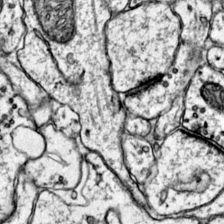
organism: Mouse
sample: Primary visual cortex